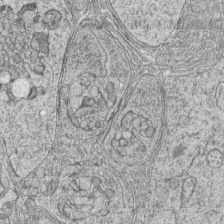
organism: Zebrafish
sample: synaptic ribbons in rod cells and cone cells